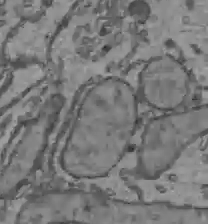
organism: C57BL Mouse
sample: Liver